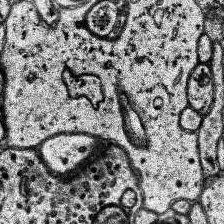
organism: Human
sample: Temporal Lobe